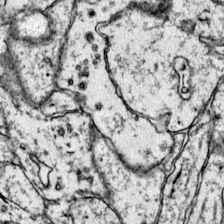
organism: Mouse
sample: Primary visual cortex